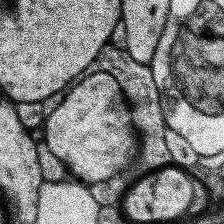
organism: Human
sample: Temporal Lobe